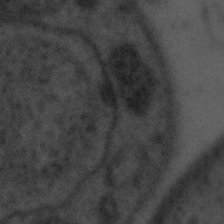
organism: Tuwongella immobilis